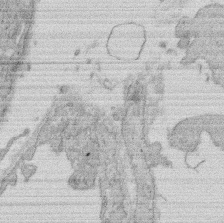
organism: Rat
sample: Salivary granule